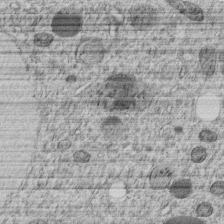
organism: C. elegans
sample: C. elegans embryo early stage